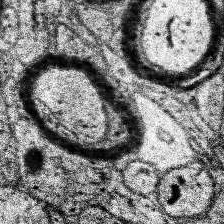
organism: Human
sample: Temporal Lobe